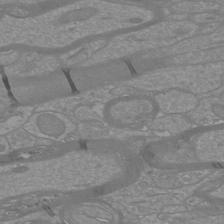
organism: Mouse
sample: Cortical neurons